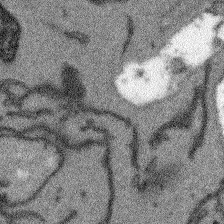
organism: Arabidopsis thaliana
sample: Root tip